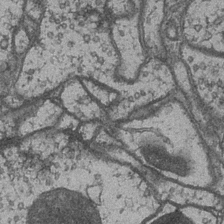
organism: Drosophila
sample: Optic medulla